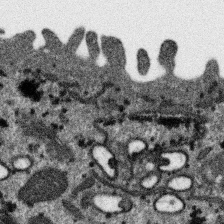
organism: Human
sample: Lung epithelial cells infected with SARS-CoV-2